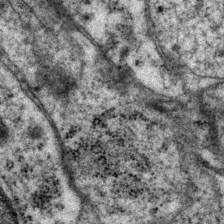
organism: P. pacificus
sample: Pharynx